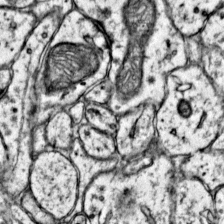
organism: Mouse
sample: Primary visual cortex